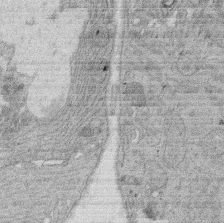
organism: Rat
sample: Salivary granule